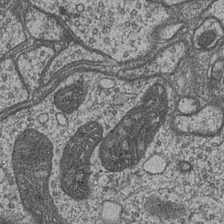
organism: Drosophila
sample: Optic medulla